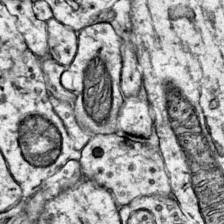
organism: Mouse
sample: Primary visual cortex